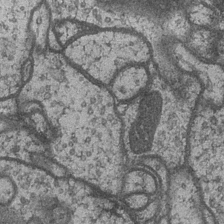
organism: Drosophila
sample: Optic medulla